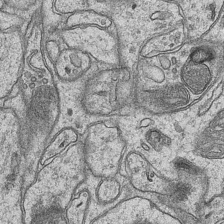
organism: Mouse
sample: CA1 Hippocampus